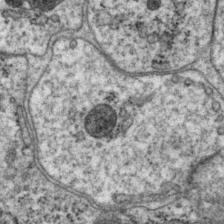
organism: P. pacificus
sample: Pharynx